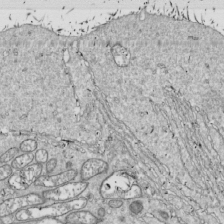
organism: Drosophila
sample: Cell division; meiosis; drosophila spermatocytes